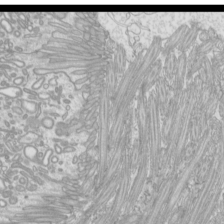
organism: Mouse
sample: Cilia; mouse epididymis